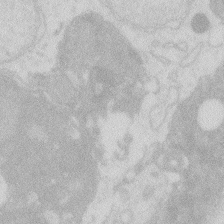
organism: Zebrafish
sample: Macrophage